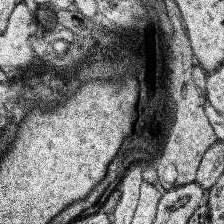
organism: Human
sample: Temporal Lobe